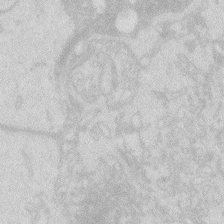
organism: Zebrafish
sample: Macrophage